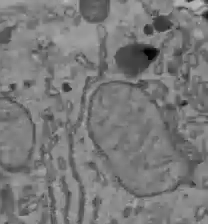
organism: C57BL Mouse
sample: Liver